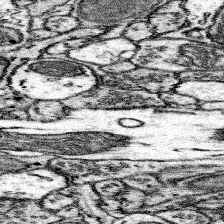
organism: Mouse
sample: Somatosensory cortex neuropil